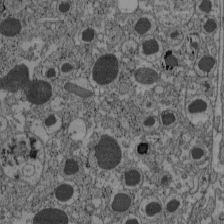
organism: C57BL Mouse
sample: Pancreatic islet